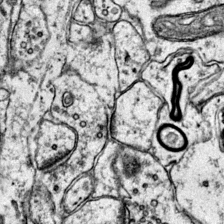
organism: Mouse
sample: Primary visual cortex